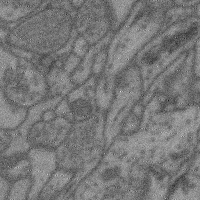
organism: Mouse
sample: Cerebral cortex